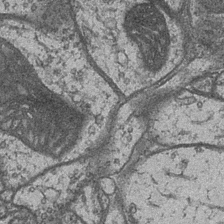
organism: Drosophila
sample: Optic medulla